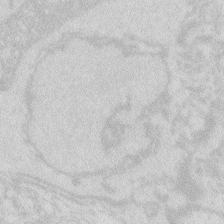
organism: Zebrafish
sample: Macrophage